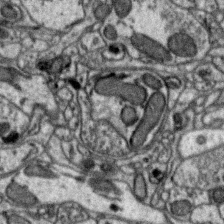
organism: Zebra finch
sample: Brain